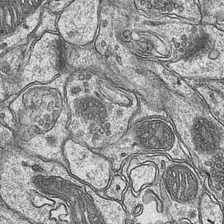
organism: Mouse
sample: CA1 Hippocampus